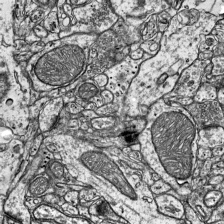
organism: Mouse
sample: Visual Cortex